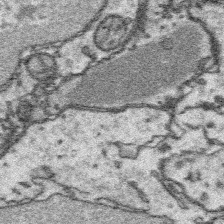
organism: Platynereis dumerilii